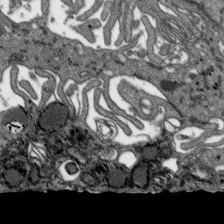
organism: Human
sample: Lung epithelial cells, uninfected (mock) control